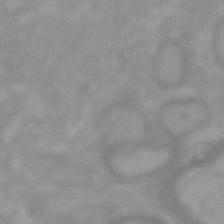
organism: Mouse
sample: Cortical neurons